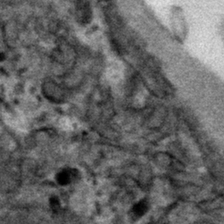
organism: Mouse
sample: Mouse hepatocytes